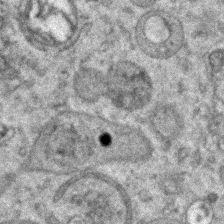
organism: Zebrafish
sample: Zebrafish embryo